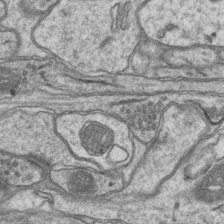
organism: Mouse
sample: CA1 Hippocampus